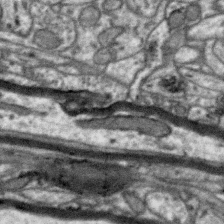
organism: Zebra finch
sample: Brain